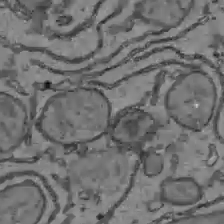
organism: C57BL Mouse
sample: Liver